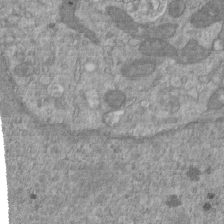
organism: Mouse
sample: ED-1 cell nuclei; centrioles